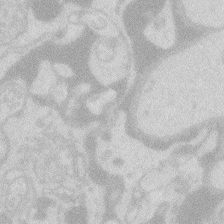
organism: Zebrafish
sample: Macrophage